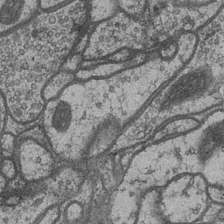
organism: Drosophila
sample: Optic medulla